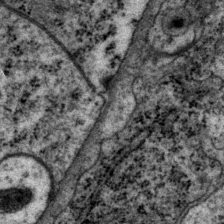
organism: P. pacificus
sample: Pharynx